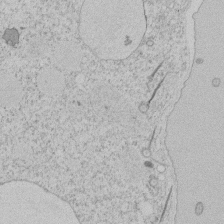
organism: Tetrahymena